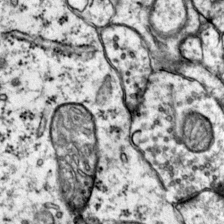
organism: Mouse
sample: Primary visual cortex